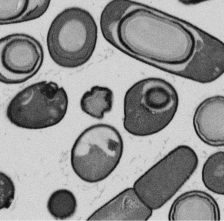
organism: B. subtilis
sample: Bacterial spore